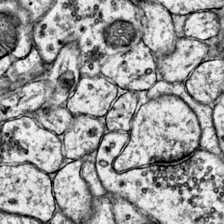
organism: Mouse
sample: Primary visual cortex